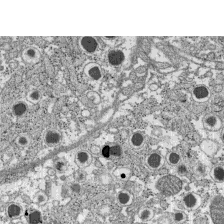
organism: C57BL Mouse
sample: Pancreatic islet